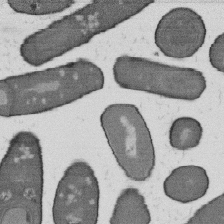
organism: B. subtilis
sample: Bacterial spore